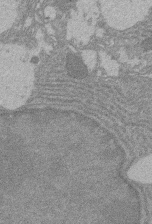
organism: Rat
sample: Salivary granule